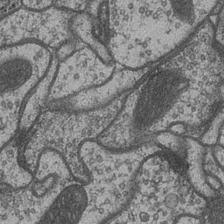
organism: Drosophila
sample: Optic medulla